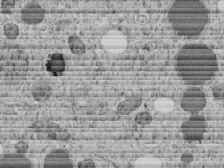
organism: C. elegans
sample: C. elegans embryo early stage